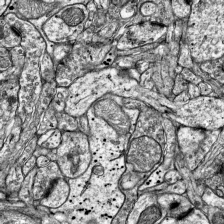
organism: Mouse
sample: Visual Cortex